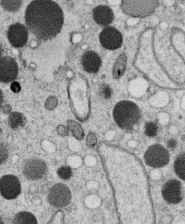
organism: C. elegans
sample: C. elegans oocyte; sperm cells